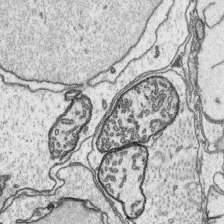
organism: Platynereis dumerilii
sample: Parapodia